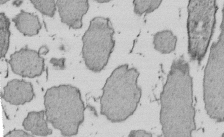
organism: E. coli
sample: Bacterial nucleoid